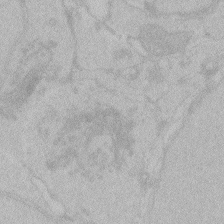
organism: Zebrafish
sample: Macrophage infected with Toxoplasma gondii